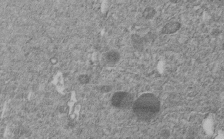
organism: C. elegans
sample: C. elegans embryo early stage